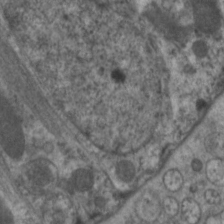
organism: C. elegans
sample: Pharynx